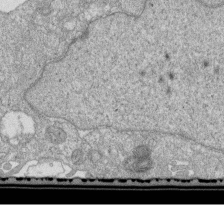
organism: Human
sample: HeLa cell HIV synapse